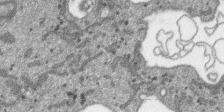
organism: Human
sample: Lung epithelial cells infected with SARS-CoV-2